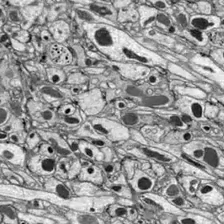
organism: Drosophila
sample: Optic lobe